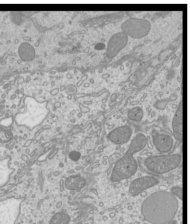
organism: Mouse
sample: Cilia; mouse epididymis